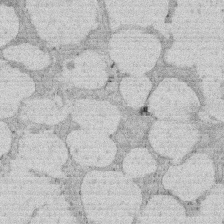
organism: Rat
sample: Salivary granule